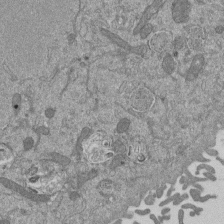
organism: Mouse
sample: ED-1 cell nuclei; centrioles